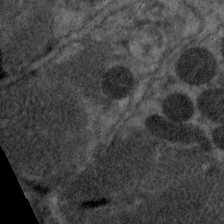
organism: C. elegans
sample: Pharynx